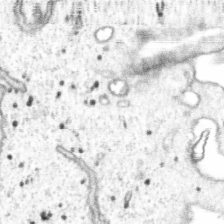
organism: Human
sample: HeLa cells